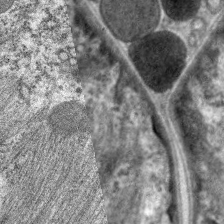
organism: C. elegans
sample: Pharynx